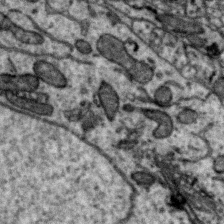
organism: Zebra finch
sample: Brain